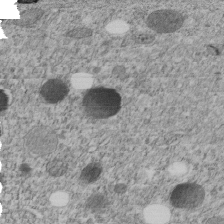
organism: C. elegans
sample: C. elegans embryo early stage